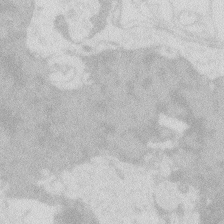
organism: Zebrafish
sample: Macrophage